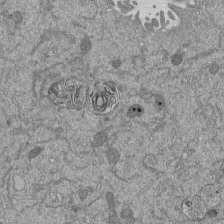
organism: Mouse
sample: ED-1 cell nuclei; centrioles